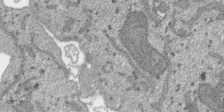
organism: Human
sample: Lung epithelial cells infected with SARS-CoV-2